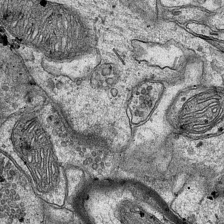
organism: Mouse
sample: CA1 Hippocampus